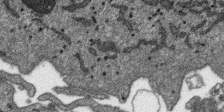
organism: Human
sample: Lung epithelial cells infected with SARS-CoV-2